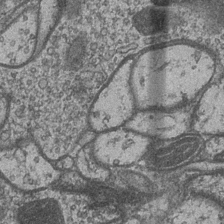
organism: Drosophila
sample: Optic medulla